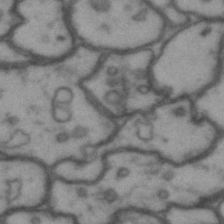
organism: Drosophila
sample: Brain